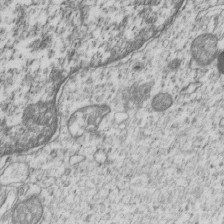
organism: Human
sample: MDA-MB-231 cells